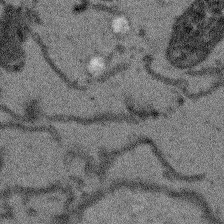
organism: Arabidopsis thaliana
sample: Root tip